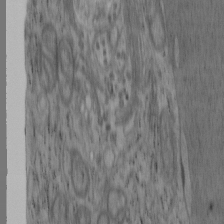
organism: Human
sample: HeLa cells